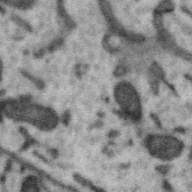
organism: Zebra finch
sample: Brain